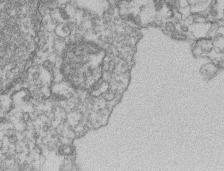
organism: Mouse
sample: T cell stromal cell synapse